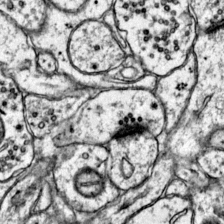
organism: Mouse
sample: Primary visual cortex